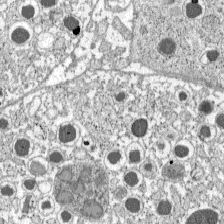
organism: C57BL Mouse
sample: Pancreatic islet